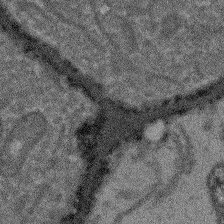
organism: Arabidopsis thaliana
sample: Root tip